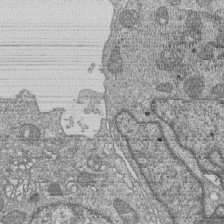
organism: Human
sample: MDA-MB-231 cells